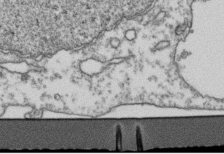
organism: Human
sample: Activated Jurkat CD4+ T cells